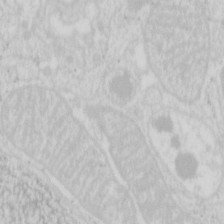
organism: Mouse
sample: Pancreas